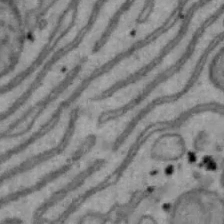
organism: Mouse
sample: Liver